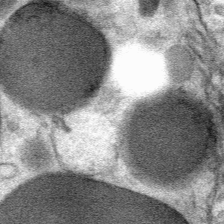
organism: Mouse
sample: Mouse Salivary gland